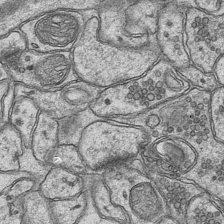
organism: Mouse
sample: CA1 Hippocampus